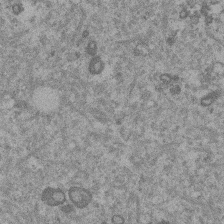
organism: Mouse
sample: Dividing mouse embryo 1 cell stage